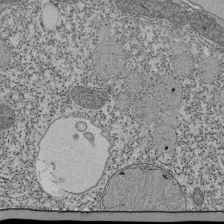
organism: Tetrahymena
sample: Cilia in tetrahymena